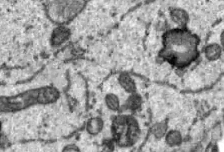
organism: Human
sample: HeLa cells